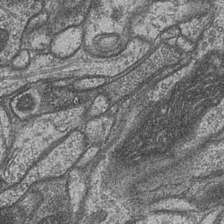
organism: Drosophila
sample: Optic medulla